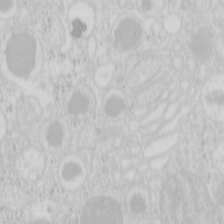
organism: Mouse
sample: Pancreas